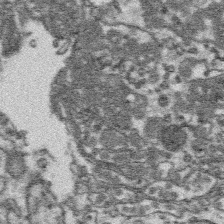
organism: Platynereis dumerilii